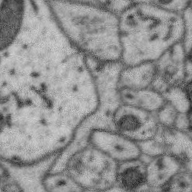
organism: Zebra finch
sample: Brain